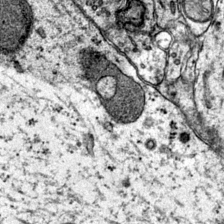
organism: Mouse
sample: Primary visual cortex